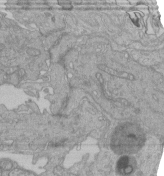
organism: Human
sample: Retinal organoid Rod and Cone cells